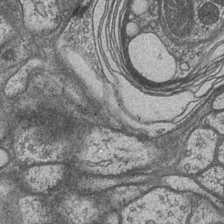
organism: Drosophila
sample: Optic medulla